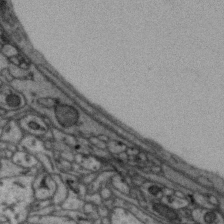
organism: Zebra finch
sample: Brain